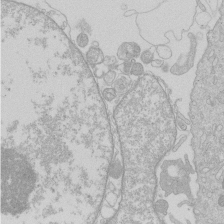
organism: Human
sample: Macrophage cells